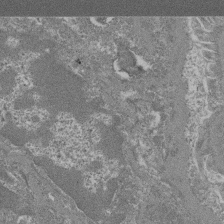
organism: Mouse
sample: Glomerulus